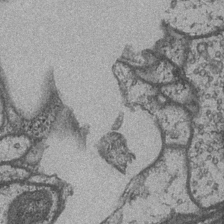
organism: Drosophila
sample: Optic medulla